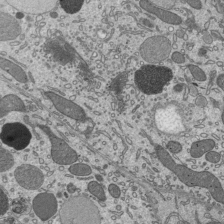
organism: Mouse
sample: Mouse epididymis efferent ductule cilia